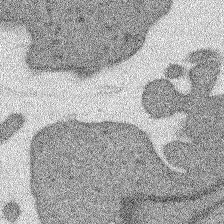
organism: Human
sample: HeLa cells